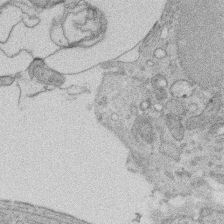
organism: Rat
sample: Salivary granule